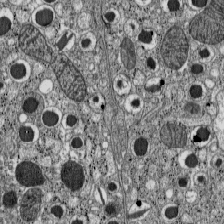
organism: C57BL Mouse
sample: Pancreatic islet